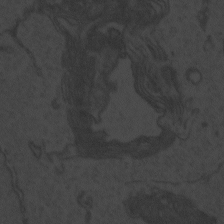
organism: Zebrafish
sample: Macrophage infected with Toxoplasma gondii